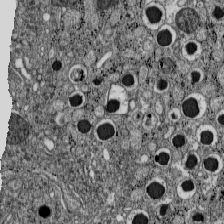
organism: C57BL Mouse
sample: Pancreatic islet